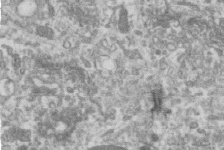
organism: Human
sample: Centriole in RPE cells